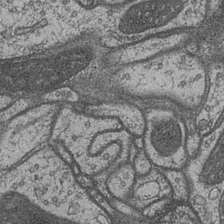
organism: Drosophila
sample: Optic medulla